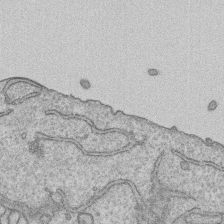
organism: Human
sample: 1205lu cells